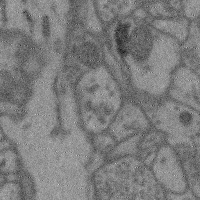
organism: Mouse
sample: Cerebral cortex